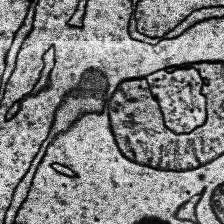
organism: Human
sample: Temporal Lobe